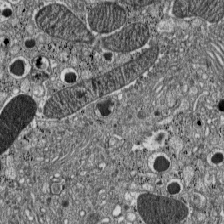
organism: C57BL Mouse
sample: Pancreatic islet